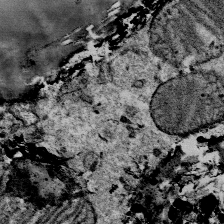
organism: Mouse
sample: Mouse Salivary gland